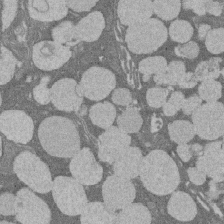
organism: Rat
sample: Salivary granule